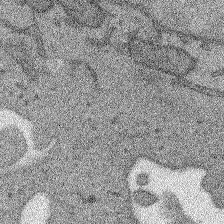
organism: Human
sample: HeLa cells